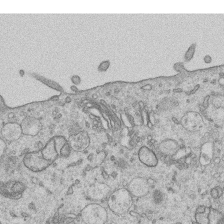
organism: Human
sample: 1205lu cells